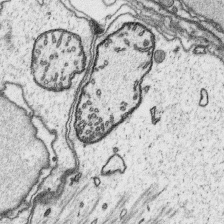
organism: Platynereis dumerilii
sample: Parapodia